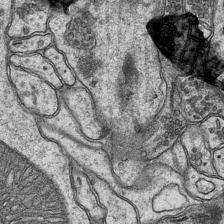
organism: Mouse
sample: CA1 Hippocampus